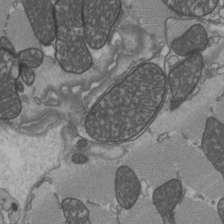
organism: C57BL Mouse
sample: Heart